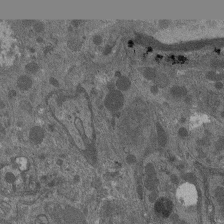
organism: Drosophila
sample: Antenna